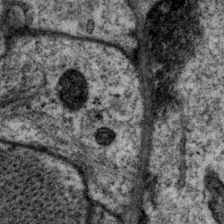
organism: P. pacificus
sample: Pharynx